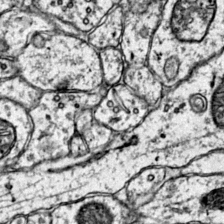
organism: Mouse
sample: Primary visual cortex